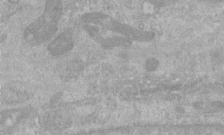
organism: Human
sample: Centriole in RPE cells